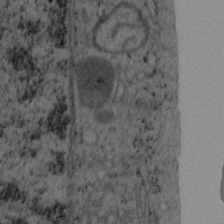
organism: Human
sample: HeLa cells